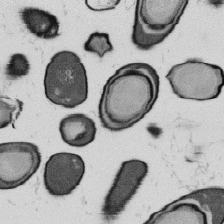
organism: B. subtilis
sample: Bacterial spore